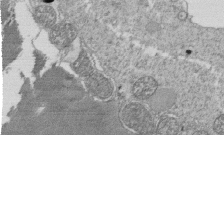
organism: Tetrahymena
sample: Cilia in tetrahymena